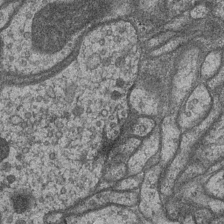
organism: Drosophila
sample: Optic medulla